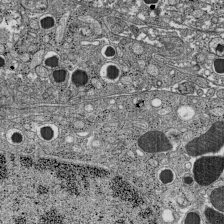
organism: C57BL Mouse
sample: Pancreatic islet